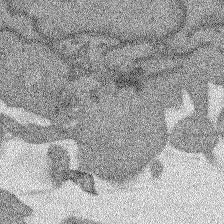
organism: Human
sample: HeLa cells